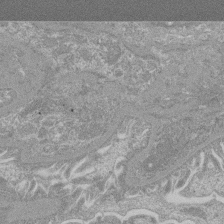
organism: Mouse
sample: Glomerulus